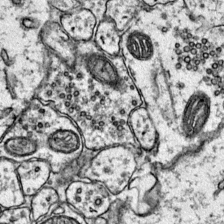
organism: Mouse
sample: Primary visual cortex